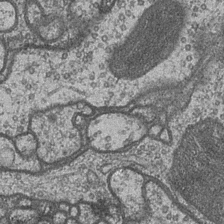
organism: Drosophila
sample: Optic medulla